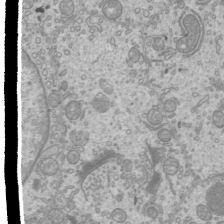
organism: Mouse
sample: Cilia; mouse epididymis